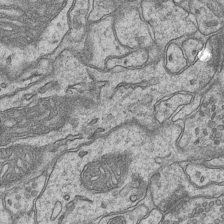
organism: Mouse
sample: CA1 Hippocampus